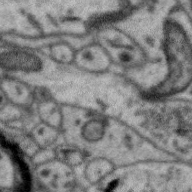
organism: Zebra finch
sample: Brain